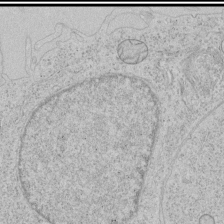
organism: Human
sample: Mitochondria in HCT116 cells